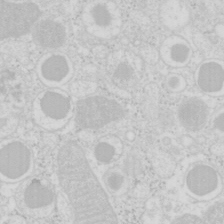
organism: Mouse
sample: Pancreas